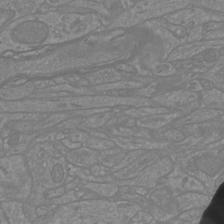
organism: Mouse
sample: Cortical neurons